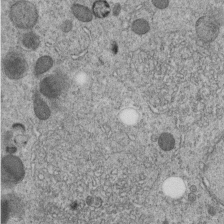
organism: C. elegans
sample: C. elegans embryo early stage